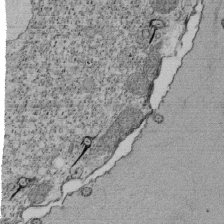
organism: Tetrahymena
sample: Cilia in tetrahymena